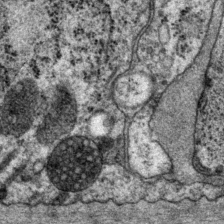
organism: P. pacificus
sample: Pharynx